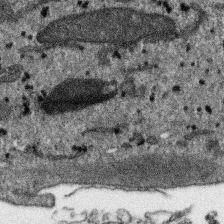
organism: Human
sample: Lung epithelial cells infected with SARS-CoV-2